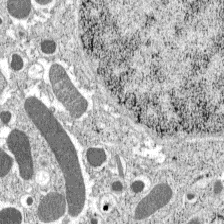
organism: C57BL Mouse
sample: Pancreatic islet